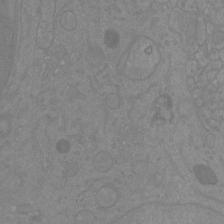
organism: Mouse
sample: Cortical neurons